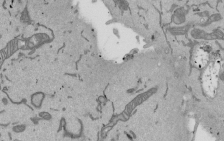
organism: Mouse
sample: ED-1 cell nuclei; centrioles